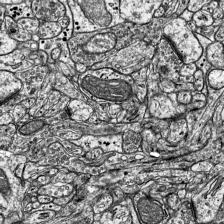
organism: Mouse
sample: Visual Cortex